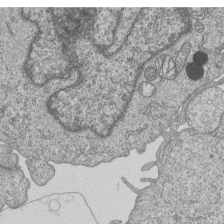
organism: Human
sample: MDA-MB-231 cells